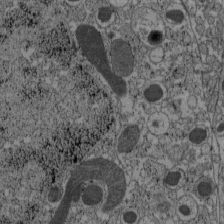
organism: C57BL Mouse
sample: Pancreatic islet